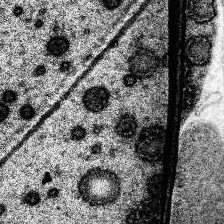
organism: Human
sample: Temporal Lobe